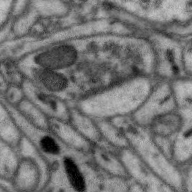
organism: Zebra finch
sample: Brain